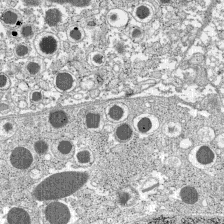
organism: C57BL Mouse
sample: Pancreatic islet